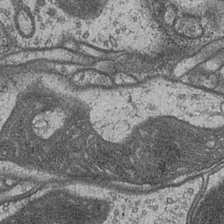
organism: Drosophila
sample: Optic medulla